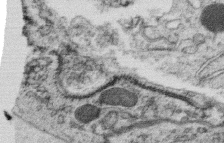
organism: C. elegans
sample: C. elegans oocyte; sperm cells